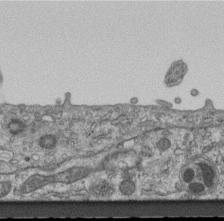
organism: Mouse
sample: Centriole in ependymal cells